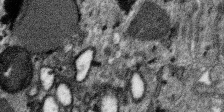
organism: Human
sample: Lung epithelial cells infected with SARS-CoV-2